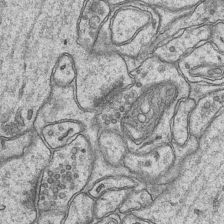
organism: Mouse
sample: CA1 Hippocampus